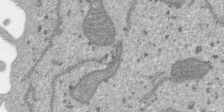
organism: Human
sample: Lung epithelial cells infected with SARS-CoV-2